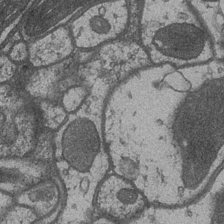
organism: Drosophila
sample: Optic medulla